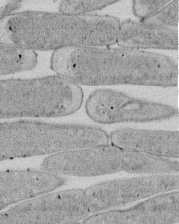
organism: E. coli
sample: Bacterial nucleoid